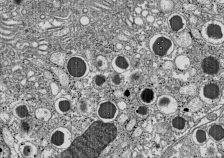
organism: C57BL Mouse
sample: Pancreatic islet